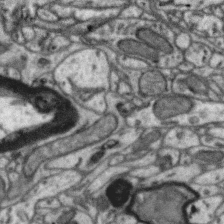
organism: Zebra finch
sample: Brain